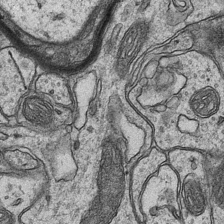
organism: Mouse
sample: CA1 Hippocampus